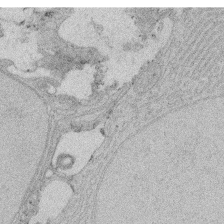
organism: Rat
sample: Salivary granule